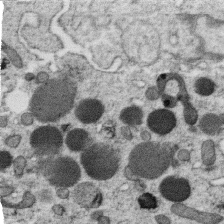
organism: C. elegans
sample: C. elegans oocyte; sperm cells